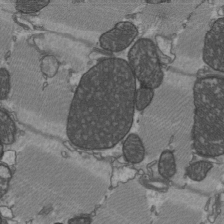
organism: C57BL Mouse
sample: Heart